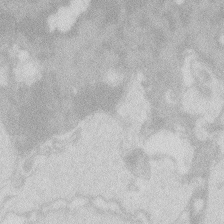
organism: Zebrafish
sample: Macrophage